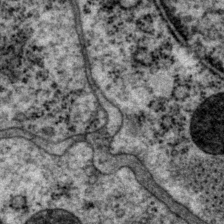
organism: P. pacificus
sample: Pharynx